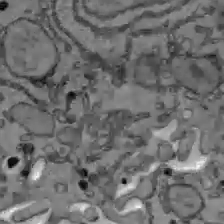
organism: C57BL Mouse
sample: Liver